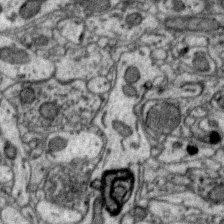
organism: Zebra finch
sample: Brain